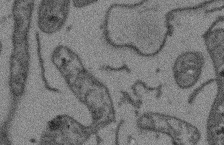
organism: Arabidopsis thaliana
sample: Root tip